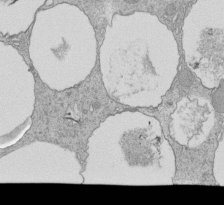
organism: Tetrahymena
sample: Cilia in tetrahymena